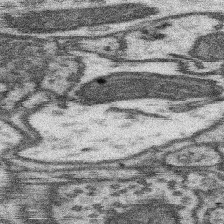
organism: Mouse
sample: Somatosensory cortex neuropil